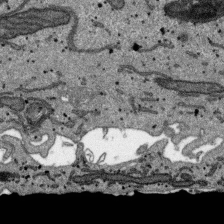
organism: Human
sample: Lung epithelial cells, uninfected (mock) control